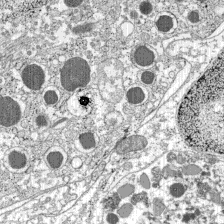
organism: C57BL Mouse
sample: Pancreatic islet